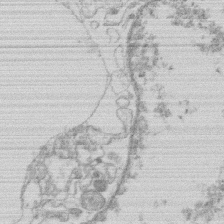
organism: Human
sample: Macrophage cells